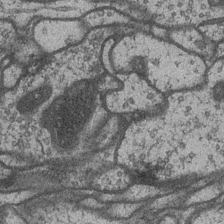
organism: Drosophila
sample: Optic medulla